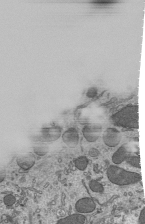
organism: Mouse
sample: Mouse epididymis efferent ductule cilia